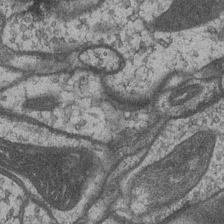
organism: Drosophila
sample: Optic medulla